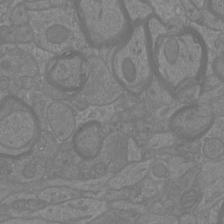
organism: Mouse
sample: Cortical neurons